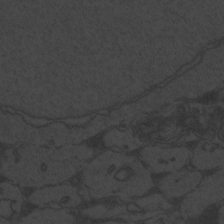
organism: Zebrafish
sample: Macrophage infected with Toxoplasma gondii